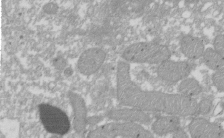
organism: Xenopus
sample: Cilia; centrioles in frog embryo cells